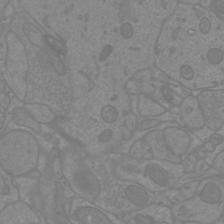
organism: Mouse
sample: Cortical neurons